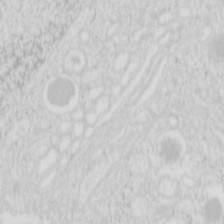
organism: Mouse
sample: Pancreas